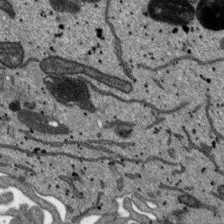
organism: Human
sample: Lung epithelial cells, uninfected (mock) control